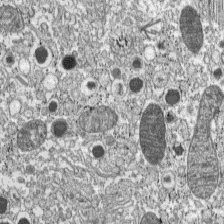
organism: C57BL Mouse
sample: Pancreatic islet